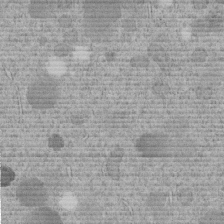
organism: C. elegans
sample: C. elegans embryo early stage